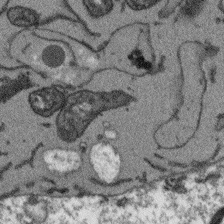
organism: Arabidopsis thaliana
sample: Root tip